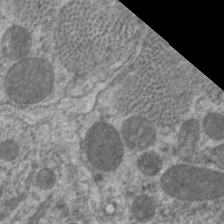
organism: C. elegans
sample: Pharynx